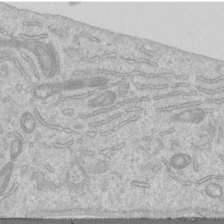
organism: Human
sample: Centriole in RPE cells